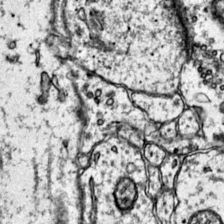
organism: Mouse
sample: Primary visual cortex